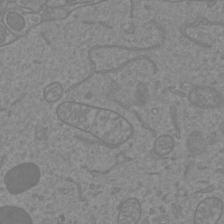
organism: Mouse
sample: Cortical neurons